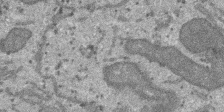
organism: Human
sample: Lung epithelial cells infected with SARS-CoV-2